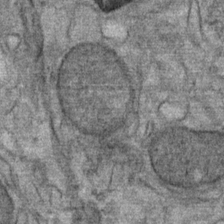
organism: Mouse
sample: Mouse Salivary gland